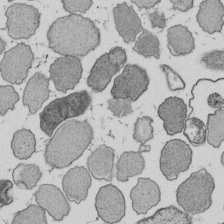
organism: E. coli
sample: Bacterial nucleoid